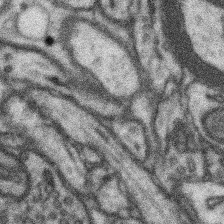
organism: Mouse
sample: Somatosensory cortex neuropil